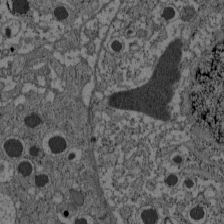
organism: C57BL Mouse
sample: Pancreatic islet